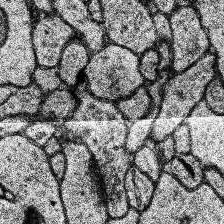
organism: Human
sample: Temporal Lobe